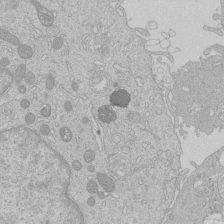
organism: Human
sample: Macrophage cells